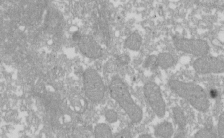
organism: Xenopus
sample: Cilia; centrioles in frog embryo cells